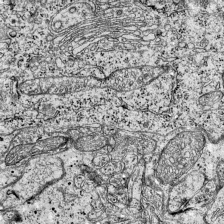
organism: Mouse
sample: Visual Cortex